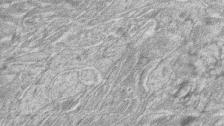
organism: Zebrafish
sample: synaptic ribbons in rod cells and cone cells